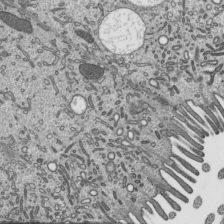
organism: Mouse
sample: Mouse epididymis efferent ductule cilia